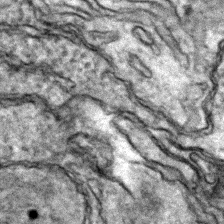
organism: Zebrafish